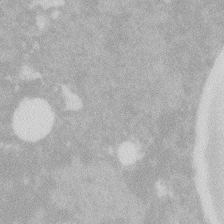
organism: Zebrafish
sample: Macrophage